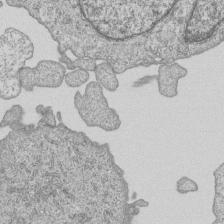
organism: Human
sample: MDA-MB-231 cells